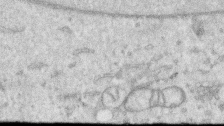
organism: Human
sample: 1205lu cells